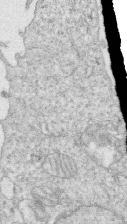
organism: Human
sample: HeLa cell HIV synapse